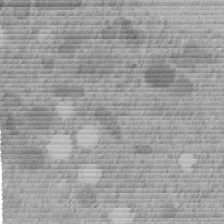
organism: C. elegans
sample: C. elegans embryo early stage